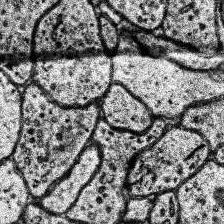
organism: Human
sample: Temporal Lobe